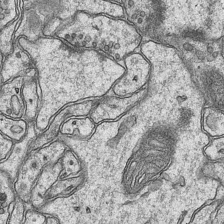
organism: Mouse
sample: CA1 Hippocampus